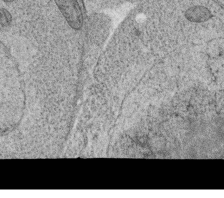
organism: C. elegans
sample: C. elegans oocyte; sperm cells